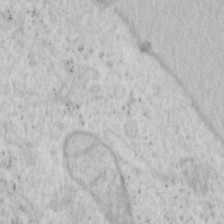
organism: Human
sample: HeLa cells